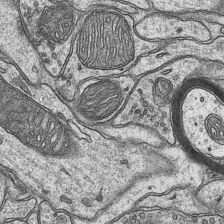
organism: Mouse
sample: CA1 Hippocampus